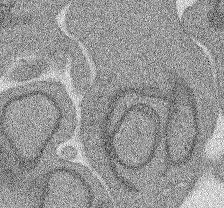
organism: Human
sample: HeLa cells